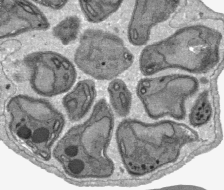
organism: Plasmodium falciparum